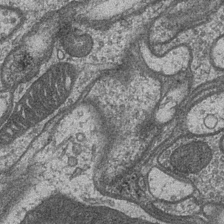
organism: Drosophila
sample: Optic medulla